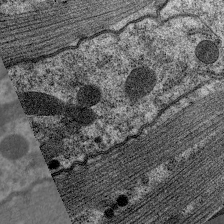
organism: C. elegans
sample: Pharynx